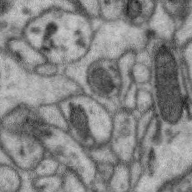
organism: Zebra finch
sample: Brain